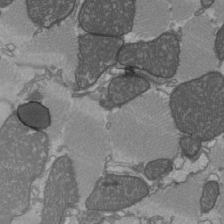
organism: C57BL Mouse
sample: Heart